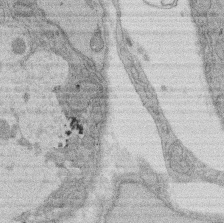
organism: Rat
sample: Salivary granule